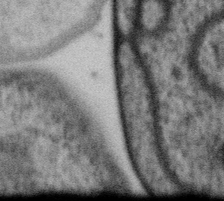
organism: Gemmata obscuriglobus